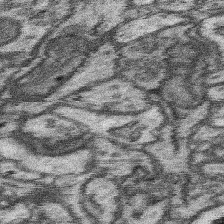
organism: Mouse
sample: Somatosensory cortex neuropil